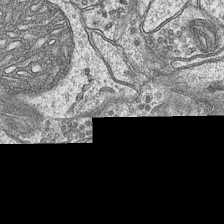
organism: Mouse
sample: CA1 Hippocampus